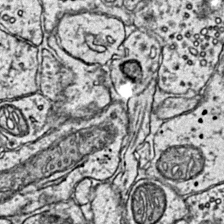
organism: Mouse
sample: Primary visual cortex